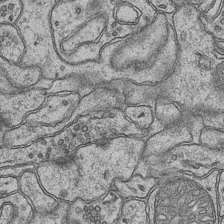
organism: Mouse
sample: CA1 Hippocampus